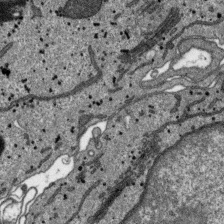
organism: Human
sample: Lung epithelial cells, uninfected (mock) control